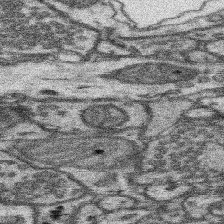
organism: Mouse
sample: Somatosensory cortex neuropil